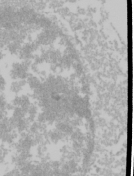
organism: Mouse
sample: Cancer cell death in ED-1 cells